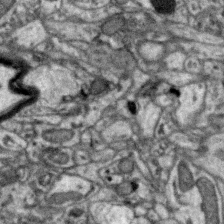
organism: Zebra finch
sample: Brain